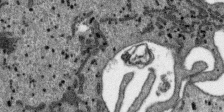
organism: Human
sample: Lung epithelial cells, uninfected (mock) control